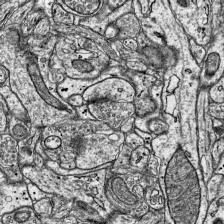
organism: Mouse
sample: Visual Cortex